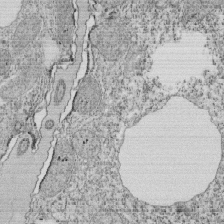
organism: Tetrahymena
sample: Cilia in tetrahymena